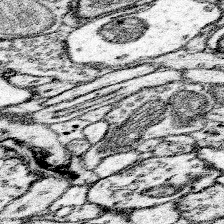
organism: Mouse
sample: Somatosensory cortex neuropil